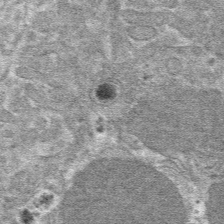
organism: Mouse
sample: Mouse hepatocytes